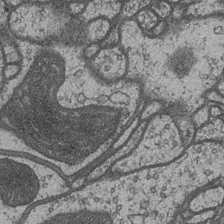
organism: Drosophila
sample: Optic medulla